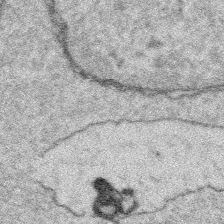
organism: Platynereis dumerilii